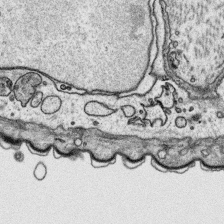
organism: Platynereis dumerilii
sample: Parapodia